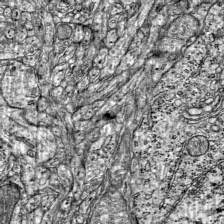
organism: Mouse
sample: Visual Cortex